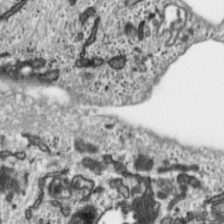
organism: Toxoplasma gondii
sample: Parasites in a vacuole inside a host cell